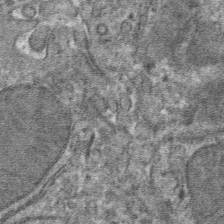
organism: Mouse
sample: Mouse hepatocytes